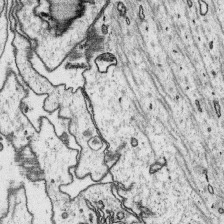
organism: Platynereis dumerilii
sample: Parapodia